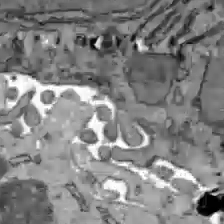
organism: C57BL Mouse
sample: Liver